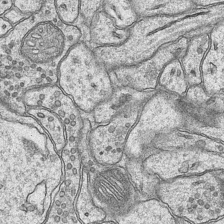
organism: Mouse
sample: CA1 Hippocampus